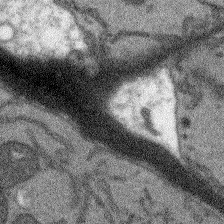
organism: Arabidopsis thaliana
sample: Root tip